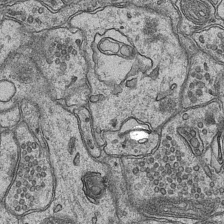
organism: Mouse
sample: CA1 Hippocampus